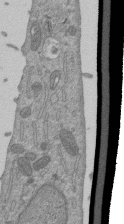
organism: Mouse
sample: ED-1 cell nuclei; centrioles